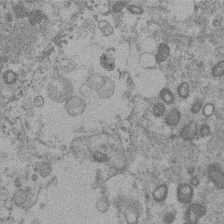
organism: Mouse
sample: Dividing mouse embryo 1 cell stage